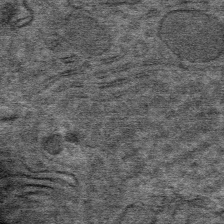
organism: Mouse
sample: Mouse Salivary gland